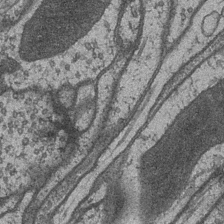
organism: Drosophila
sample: Optic medulla